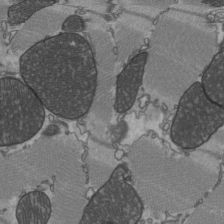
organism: C57BL Mouse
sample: Heart